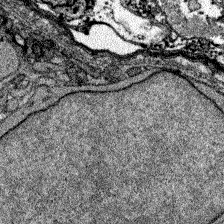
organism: Zebrafish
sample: Larval olfactory bulb